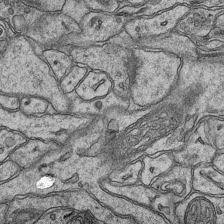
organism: Mouse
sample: CA1 Hippocampus